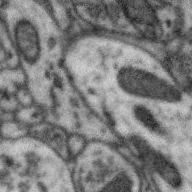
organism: Zebra finch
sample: Brain